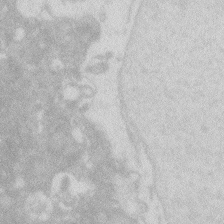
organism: Zebrafish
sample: Macrophage